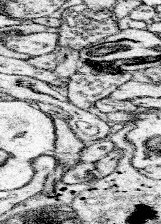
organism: Mouse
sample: Somatosensory cortex neuropil